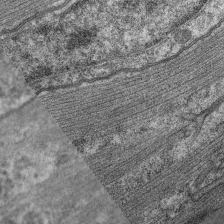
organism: C. elegans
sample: Pharynx